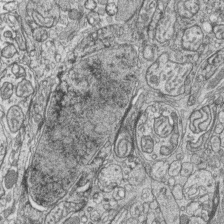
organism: Zebrafish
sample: synaptic ribbons in rod cells and cone cells